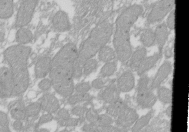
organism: Xenopus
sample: Cilia; centrioles in frog embryo cells